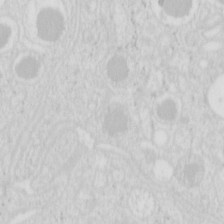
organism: Mouse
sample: Pancreas